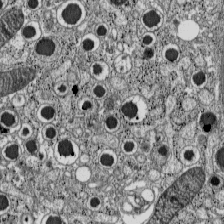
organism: C57BL Mouse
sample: Pancreatic islet